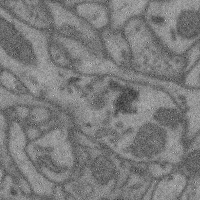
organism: Mouse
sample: Cerebral cortex